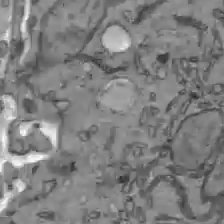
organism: C57BL Mouse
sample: Liver